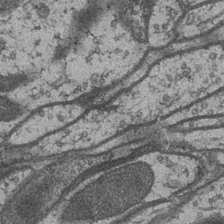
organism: Drosophila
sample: Optic medulla